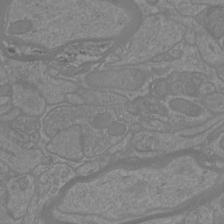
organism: Mouse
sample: Cortical neurons